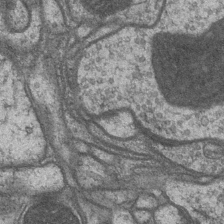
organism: Drosophila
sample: Optic medulla